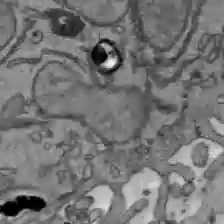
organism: C57BL Mouse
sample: Liver